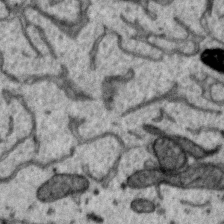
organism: Zebra finch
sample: Brain